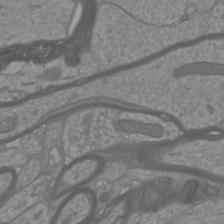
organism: Mouse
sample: Cortical neurons